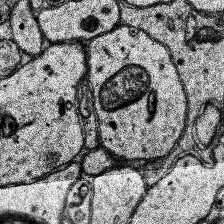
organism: Human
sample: Temporal Lobe